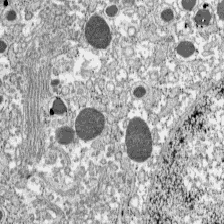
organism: C57BL Mouse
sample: Pancreatic islet